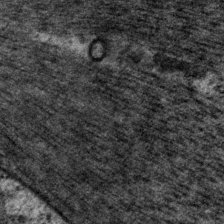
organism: P. pacificus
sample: Pharynx